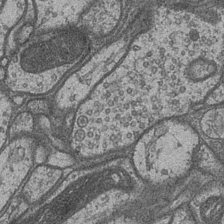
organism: Drosophila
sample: Optic medulla